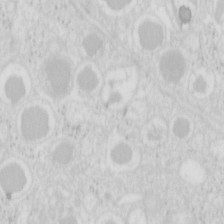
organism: Mouse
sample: Pancreas